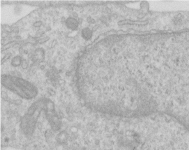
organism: Human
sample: Centriole in RPE cells